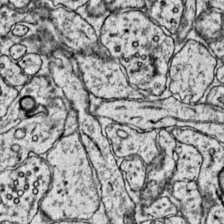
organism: Mouse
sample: Primary visual cortex